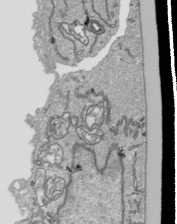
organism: Human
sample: Mitochondria in HCT116 cells